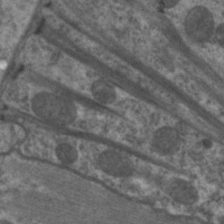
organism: C. elegans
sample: Pharynx